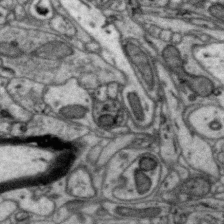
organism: Zebra finch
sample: Brain